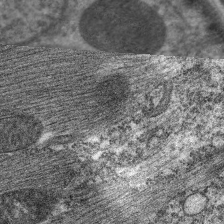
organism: C. elegans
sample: Pharynx